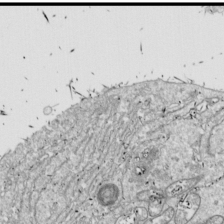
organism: Drosophila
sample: Cell division; meiosis; drosophila spermatocytes